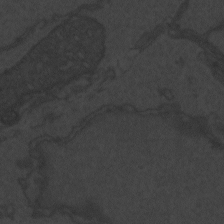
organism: Zebrafish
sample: Macrophage infected with Toxoplasma gondii